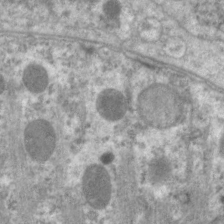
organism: C. elegans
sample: Pharynx